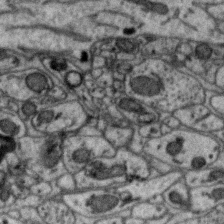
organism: Zebra finch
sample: Brain